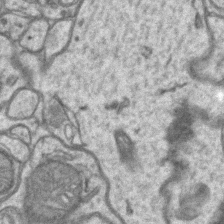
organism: Mouse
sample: CA1 Hippocampus